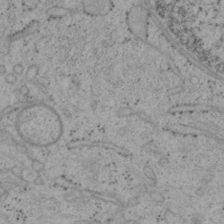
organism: Human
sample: HeLa cells